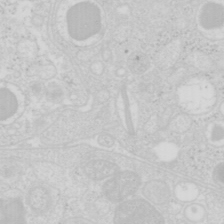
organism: Mouse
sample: Pancreas